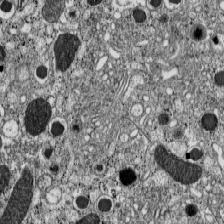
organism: C57BL Mouse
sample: Pancreatic islet